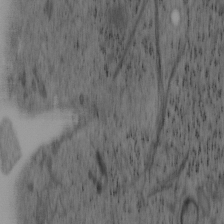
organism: Human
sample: HeLa cells